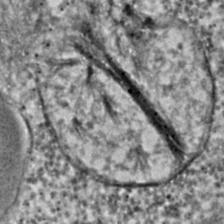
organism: C. elegans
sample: C. elegans embryo